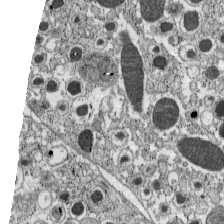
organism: C57BL Mouse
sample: Pancreatic islet